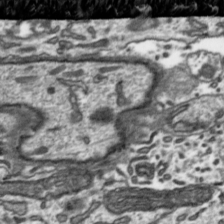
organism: Toxoplasma gondii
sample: Parasites in a vacuole inside a host cell